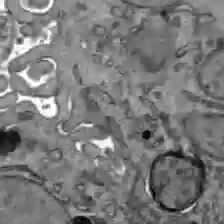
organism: C57BL Mouse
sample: Liver